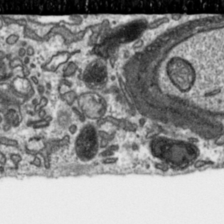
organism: Toxoplasma gondii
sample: Parasites in a vacuole inside a host cell